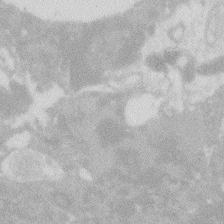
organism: Zebrafish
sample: Macrophage